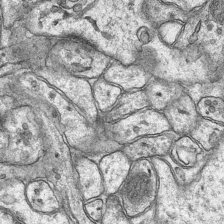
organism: Mouse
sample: CA1 Hippocampus